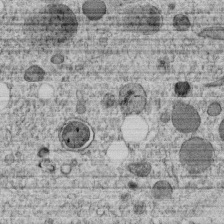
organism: C. elegans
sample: C. elegans embryo early stage